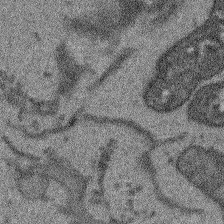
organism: Arabidopsis thaliana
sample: Root tip